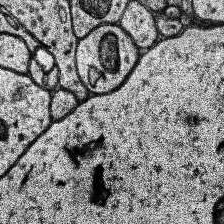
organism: Human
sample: Temporal Lobe